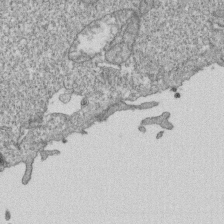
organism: Human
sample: HeLa cell HIV synapse